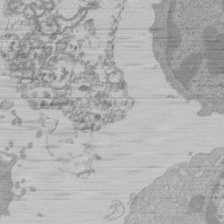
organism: Mouse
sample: Activated Pmel transgenic CD8+ T Cells